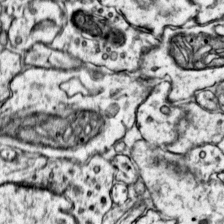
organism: Mouse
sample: Primary visual cortex